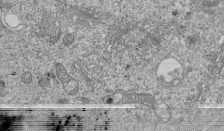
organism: Human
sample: MDA-MB-231 cells